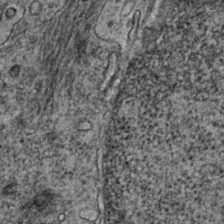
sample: Trachea